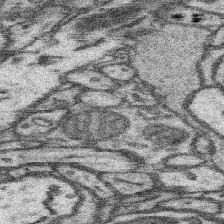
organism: Mouse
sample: Somatosensory cortex neuropil